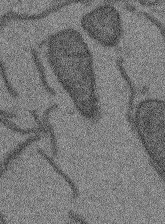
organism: Arabidopsis thaliana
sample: Root tip